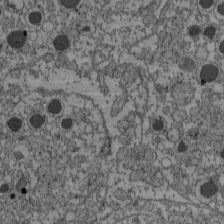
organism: C57BL Mouse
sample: Pancreatic islet